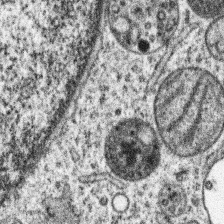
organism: Human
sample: HeLa cells